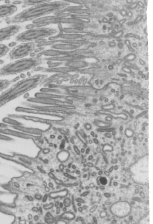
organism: Mouse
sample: Mouse epididymis efferent ductule cilia